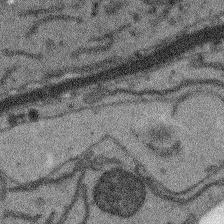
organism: Arabidopsis thaliana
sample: Root tip